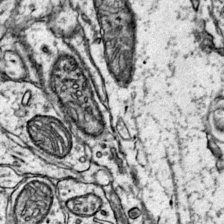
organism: Mouse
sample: Primary visual cortex